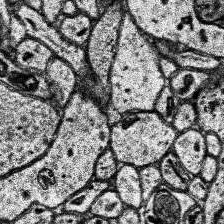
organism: Human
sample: Temporal Lobe